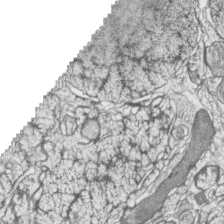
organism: Zebrafish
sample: synaptic ribbons in rod cells and cone cells